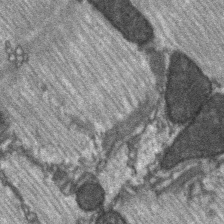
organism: C57BL Mouse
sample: Soleus